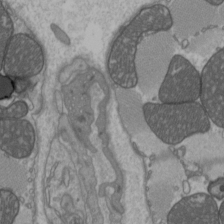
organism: C57BL Mouse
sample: Heart